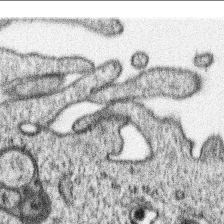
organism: Human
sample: HeLa cells